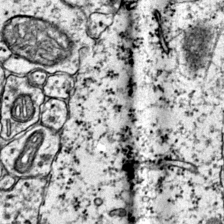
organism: Mouse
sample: Primary visual cortex